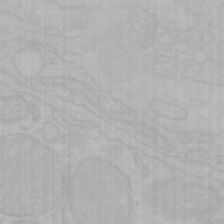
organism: Mouse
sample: Choroid plexus